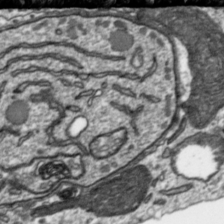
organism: Toxoplasma gondii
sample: Parasites in a vacuole inside a host cell